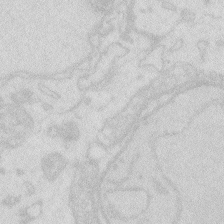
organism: Zebrafish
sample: Macrophage